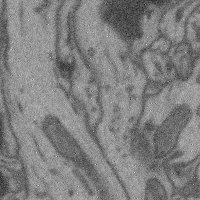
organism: Mouse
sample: Cerebral cortex